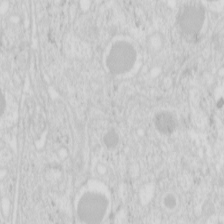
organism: Mouse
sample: Pancreas